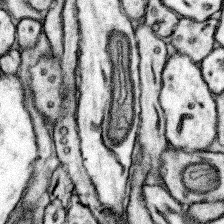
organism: Mouse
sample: Somatosensory cortex neuropil